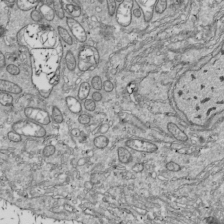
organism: Drosophila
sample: Cell division; meiosis; drosophila spermatocytes